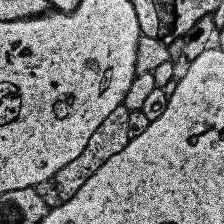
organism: Human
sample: Temporal Lobe